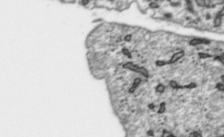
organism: Toxoplasma gondii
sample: Parasites in a vacuole inside a host cell